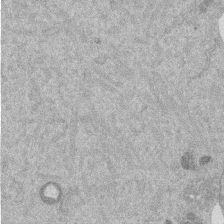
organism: Mouse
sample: Dividing mouse embryo 1 cell stage